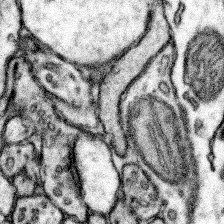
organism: Mouse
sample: Somatosensory cortex neuropil